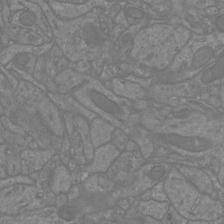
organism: Mouse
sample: Cortical neurons